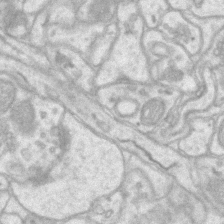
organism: Mouse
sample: CA1 Hippocampus